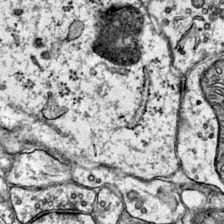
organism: Mouse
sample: Primary visual cortex